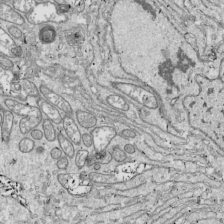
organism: Drosophila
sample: Cell division; meiosis; drosophila spermatocytes